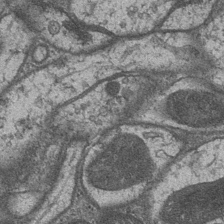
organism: Drosophila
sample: Optic medulla